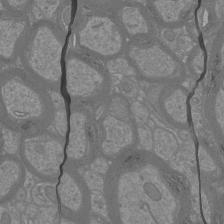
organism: Mouse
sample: Cortical neurons